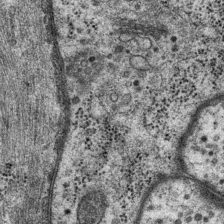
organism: P. pacificus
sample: Pharynx